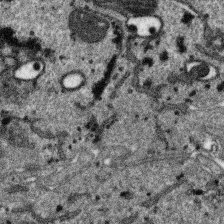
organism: Human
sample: Lung epithelial cells infected with SARS-CoV-2